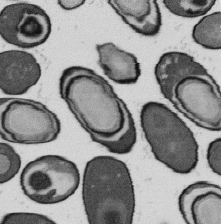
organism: B. subtilis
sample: Bacterial spore